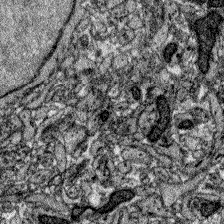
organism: Zebrafish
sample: Larval olfactory bulb